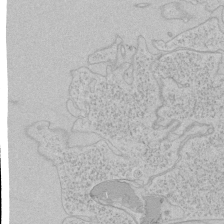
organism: Human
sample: Mitochondria in HCT116 cells